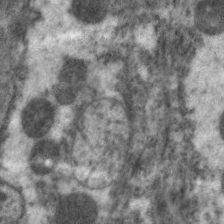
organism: C. elegans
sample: Pharynx